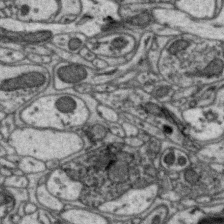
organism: Zebra finch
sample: Brain